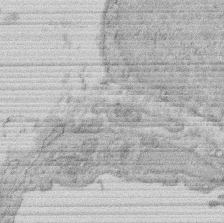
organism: Rat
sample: Salivary granule